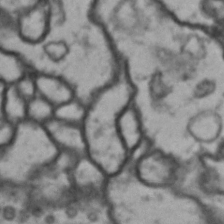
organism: Drosophila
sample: Brain